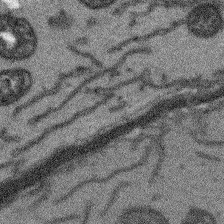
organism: Arabidopsis thaliana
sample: Root tip